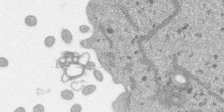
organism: Human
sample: Lung epithelial cells infected with SARS-CoV-2